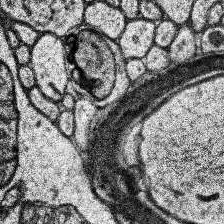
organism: Human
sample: Temporal Lobe